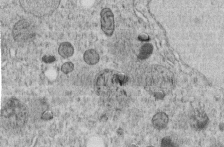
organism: C. elegans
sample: C. elegans embryo early stage